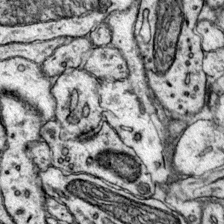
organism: Mouse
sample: Primary visual cortex